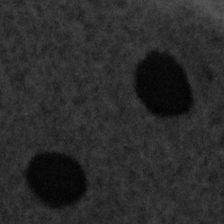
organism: Tuwongella immobilis